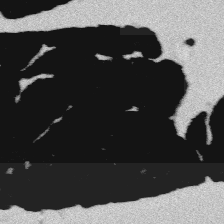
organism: Platynereis dumerilii